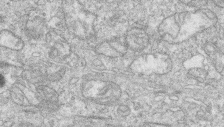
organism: Human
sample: HeLa cell HIV synapse